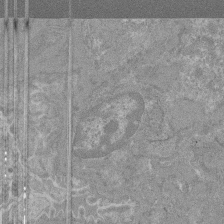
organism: Mouse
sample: Glomerulus